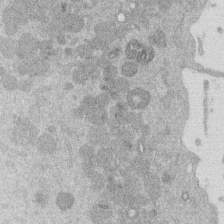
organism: Mouse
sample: Dividing mouse embryo 1 cell stage